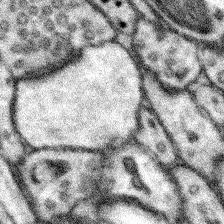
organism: Mouse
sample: Somatosensory cortex neuropil